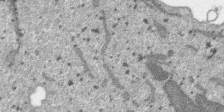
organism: Human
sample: Lung epithelial cells infected with SARS-CoV-2